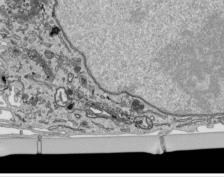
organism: Human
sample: Mitochondria in HCT116 cells